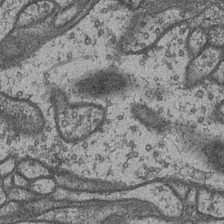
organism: Drosophila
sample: Optic medulla